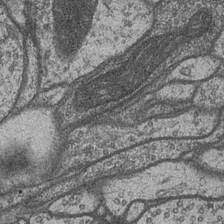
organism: Drosophila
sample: Optic medulla